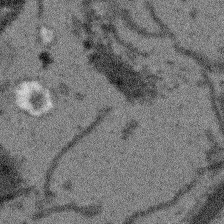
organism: Arabidopsis thaliana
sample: Root tip